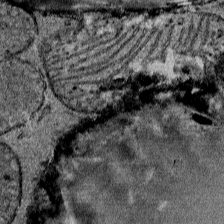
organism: Mouse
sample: Mouse Salivary gland